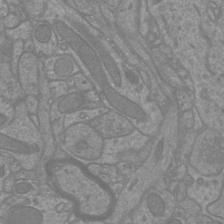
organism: Mouse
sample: Cortical neurons